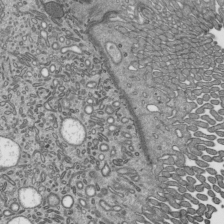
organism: Mouse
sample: Mouse epididymis efferent ductule cilia